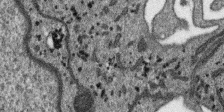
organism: Human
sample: Lung epithelial cells infected with SARS-CoV-2